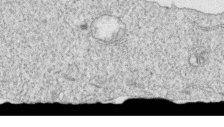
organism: Human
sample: HeLa cell HIV synapse